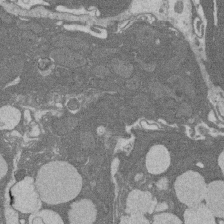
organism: Rat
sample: Salivary granule